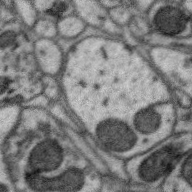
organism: Zebra finch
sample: Brain